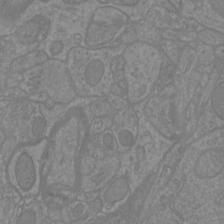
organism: Mouse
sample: Cortical neurons